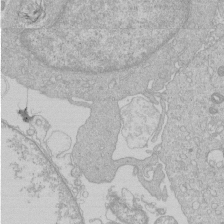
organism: Human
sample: Macrophage cells